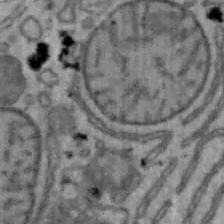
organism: Mouse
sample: Liver